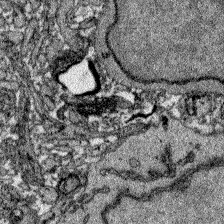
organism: Zebrafish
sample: Larval olfactory bulb